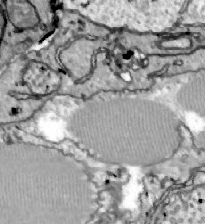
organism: Zebrafish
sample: Actinotrichia fibers